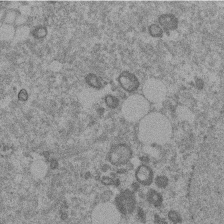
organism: Mouse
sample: Dividing mouse embryo 1 cell stage